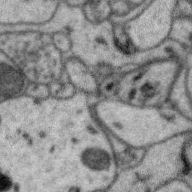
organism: Zebra finch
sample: Brain